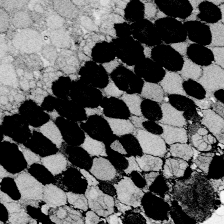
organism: Zebrafish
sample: Whole-Brain